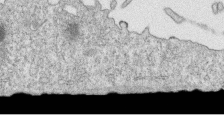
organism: Human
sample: HeLa cell HIV synapse